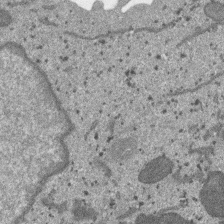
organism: Human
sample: Lung epithelial cells infected with SARS-CoV-2